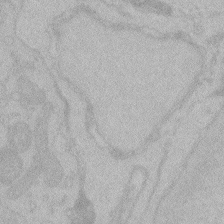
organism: Zebrafish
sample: Macrophage infected with Toxoplasma gondii